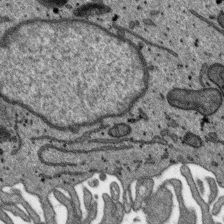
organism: Human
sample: Lung epithelial cells, uninfected (mock) control